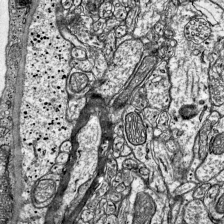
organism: Mouse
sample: Visual Cortex